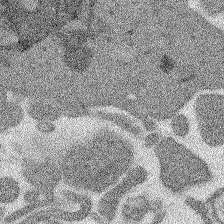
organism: Human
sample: HeLa cells